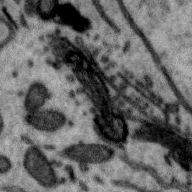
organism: Zebra finch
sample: Brain